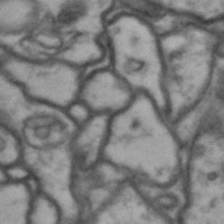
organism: Drosophila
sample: Brain